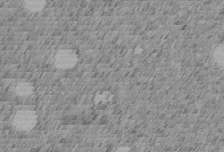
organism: C. elegans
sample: C. elegans embryo early stage